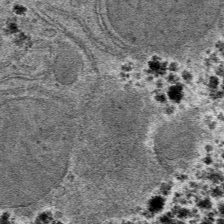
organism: Mouse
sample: Mouse hepatocytes